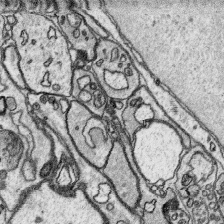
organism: Platynereis dumerilii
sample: Parapodia